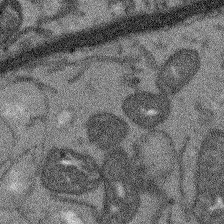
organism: Arabidopsis thaliana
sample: Root tip